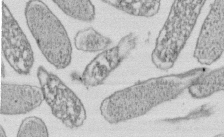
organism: E. coli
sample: Bacterial nucleoid